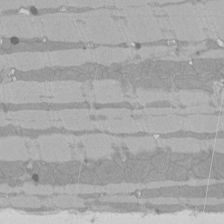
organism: Rat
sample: Left ventricle